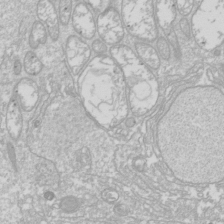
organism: Drosophila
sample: Cell division; meiosis; drosophila spermatocytes